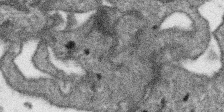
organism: Human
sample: Lung epithelial cells infected with SARS-CoV-2